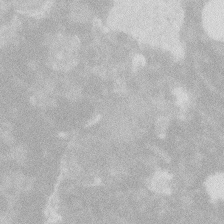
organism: Zebrafish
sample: Macrophage